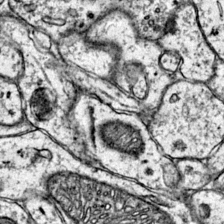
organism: Mouse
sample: Primary visual cortex